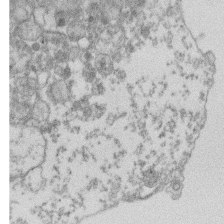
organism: Human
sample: HeLa cell HIV synapse